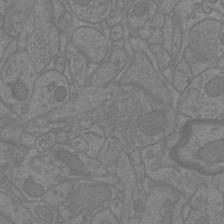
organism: Mouse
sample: Cortical neurons